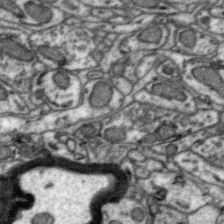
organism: Zebra finch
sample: Brain